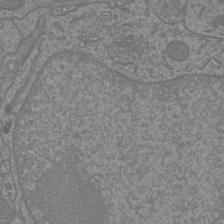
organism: Mouse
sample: Cortical neurons